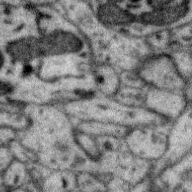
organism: Zebra finch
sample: Brain